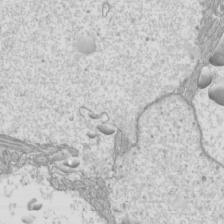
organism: Mouse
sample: Cilia; mouse epididymis